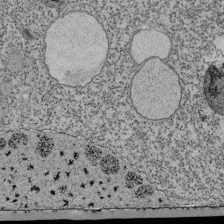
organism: Tetrahymena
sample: Cilia in tetrahymena